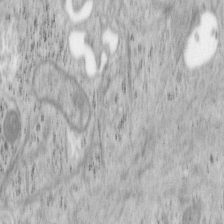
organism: Human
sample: HeLa cells